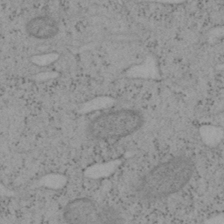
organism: Mouse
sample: OT-I killer T cells with ID8 ovarian cancer cells